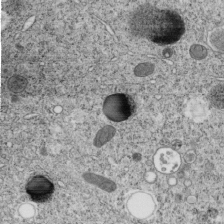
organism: C. elegans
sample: C. elegans embryo early stage